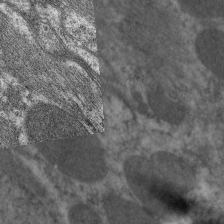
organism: C. elegans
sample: Pharynx